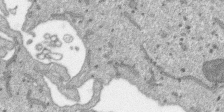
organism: Human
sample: Lung epithelial cells infected with SARS-CoV-2